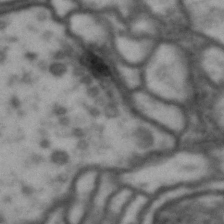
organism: Drosophila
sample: Brain